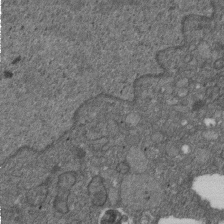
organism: Drosophila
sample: Nephrocyte